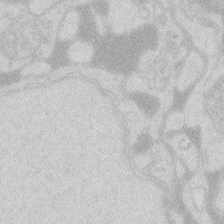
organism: Zebrafish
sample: Macrophage